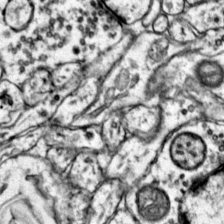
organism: Mouse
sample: Primary visual cortex